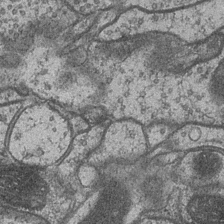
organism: Drosophila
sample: Optic medulla